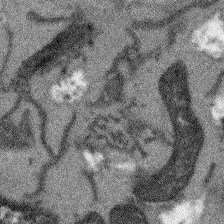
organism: Arabidopsis thaliana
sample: Root tip